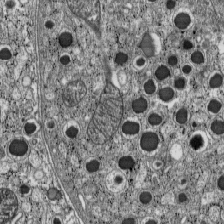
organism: C57BL Mouse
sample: Pancreatic islet